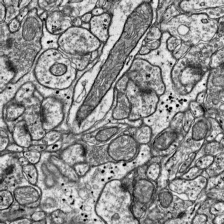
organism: Mouse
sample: Visual Cortex